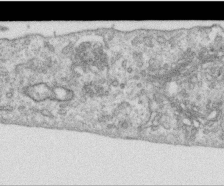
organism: Human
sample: Centriole in RPE cells